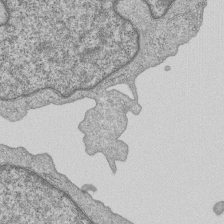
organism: Human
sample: MDA-MB-231 cells